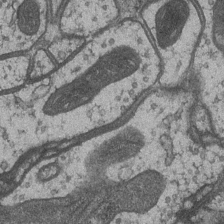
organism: Drosophila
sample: Optic medulla